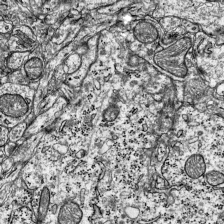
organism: Mouse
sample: Visual Cortex